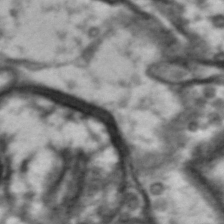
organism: Drosophila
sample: Brain